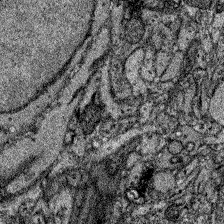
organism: Zebrafish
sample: Larval olfactory bulb